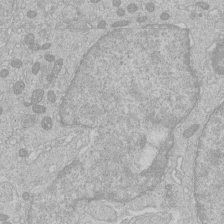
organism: Human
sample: Macrophage cells